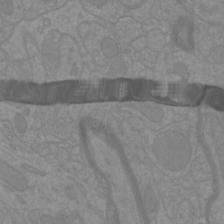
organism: Mouse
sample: Cortical neurons